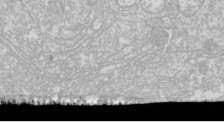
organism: Drosophila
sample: Cell division; meiosis; drosophila spermatocytes